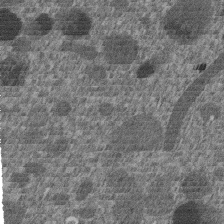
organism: C. elegans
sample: C. elegans embryo early stage